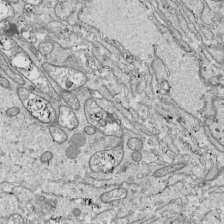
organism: Drosophila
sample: Cell division; meiosis; drosophila spermatocytes